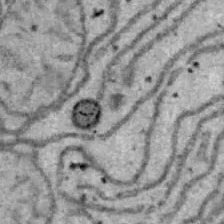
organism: Mouse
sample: Liver from an obese (ob/ob) mouse